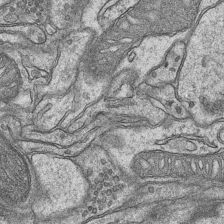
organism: Mouse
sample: CA1 Hippocampus